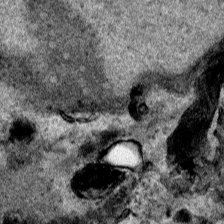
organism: Human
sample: Mitochondria in HCT116 cells